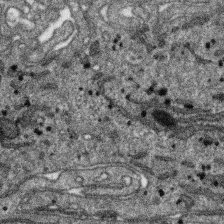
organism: Human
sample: Lung epithelial cells infected with SARS-CoV-2